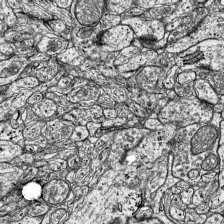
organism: Mouse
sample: Visual Cortex